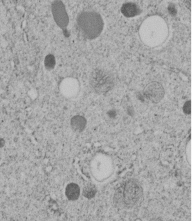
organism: C. elegans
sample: C. elegans embryo early stage